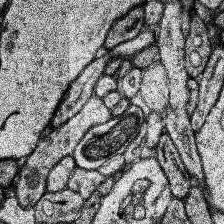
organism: Human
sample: Temporal Lobe